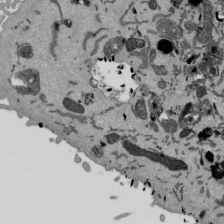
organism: Mouse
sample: ED-1 cell nuclei; centrioles